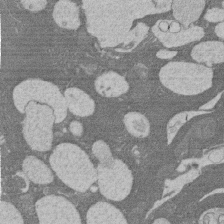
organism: Rat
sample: Salivary granule